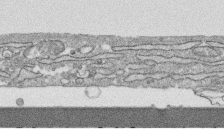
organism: Human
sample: CRL-1474